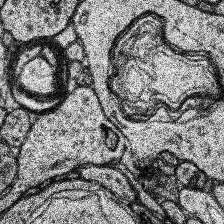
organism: Human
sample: Temporal Lobe